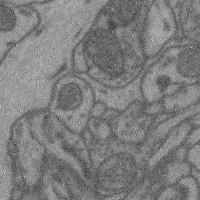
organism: Mouse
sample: Cerebral cortex